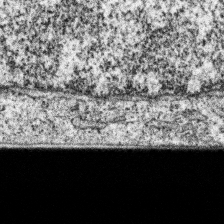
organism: Human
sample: HeLa cells